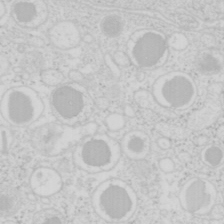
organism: Mouse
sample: Pancreas